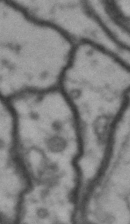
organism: Drosophila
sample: Brain